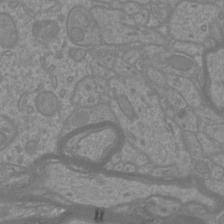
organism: Mouse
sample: Cortical neurons